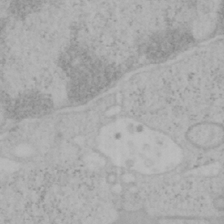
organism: Mouse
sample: OT-I killer T cells with ID8 ovarian cancer cells